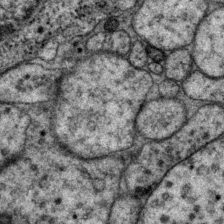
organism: P. pacificus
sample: Pharynx